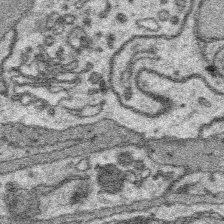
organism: Platynereis dumerilii